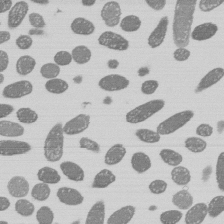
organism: E. coli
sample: Bacterial nucleoid